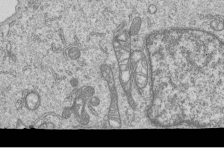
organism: Human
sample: MDA-MB-231 cells